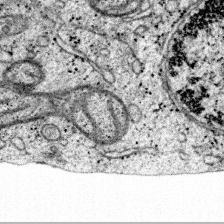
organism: Human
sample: HeLa cells